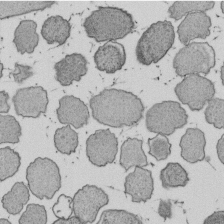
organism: E. coli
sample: Bacterial nucleoid